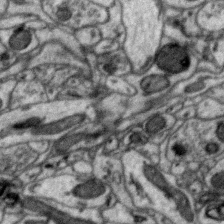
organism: Zebra finch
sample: Brain